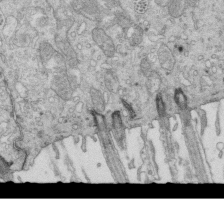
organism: Mouse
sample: Multiciliated cells